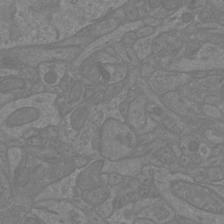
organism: Mouse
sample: Cortical neurons